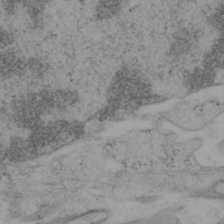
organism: Mouse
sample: OT-I killer T cells with ID8 ovarian cancer cells